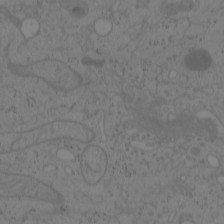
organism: Human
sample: HeLa cells